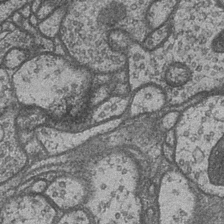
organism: Drosophila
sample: Optic medulla